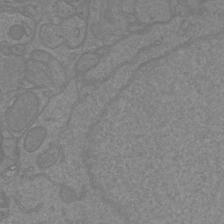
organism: Mouse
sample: Cortical neurons